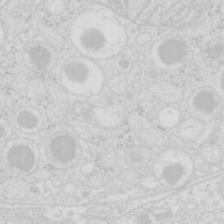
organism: Mouse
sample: Pancreas